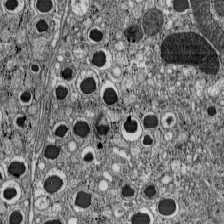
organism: C57BL Mouse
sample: Pancreatic islet